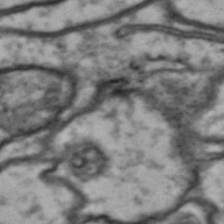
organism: Drosophila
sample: Brain